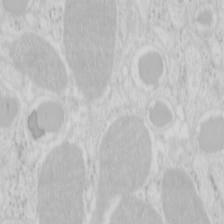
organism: Mouse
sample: Pancreas